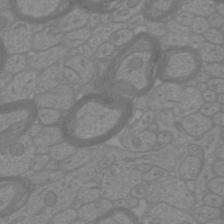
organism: Mouse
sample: Cortical neurons